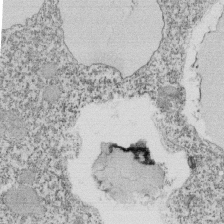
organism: Tetrahymena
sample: Cilia in tetrahymena